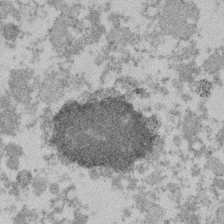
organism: Mouse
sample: Dividing mouse embryo 1 cell stage